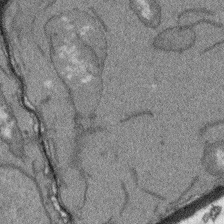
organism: Arabidopsis thaliana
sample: Root tip